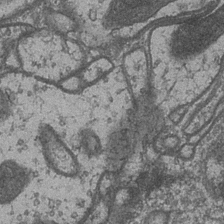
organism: Drosophila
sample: Optic medulla